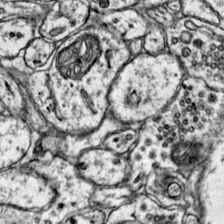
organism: Mouse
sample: Primary visual cortex